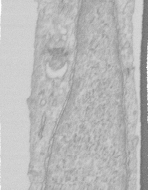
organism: Human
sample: Centriole in RPE cells